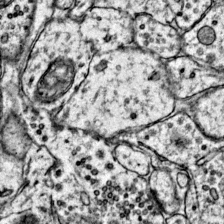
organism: Mouse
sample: Primary visual cortex